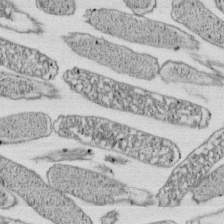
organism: E. coli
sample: Bacterial nucleoid